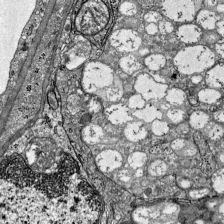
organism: Mouse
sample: Visual Cortex